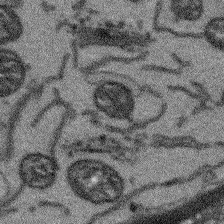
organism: Arabidopsis thaliana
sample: Root tip